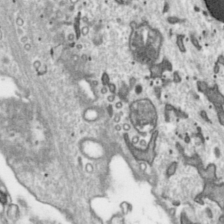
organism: Toxoplasma gondii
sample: Parasites in a vacuole inside a host cell